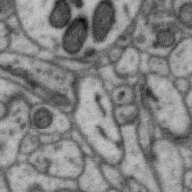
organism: Zebra finch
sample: Brain